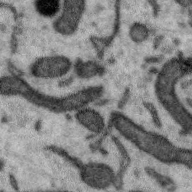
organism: Zebra finch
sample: Brain